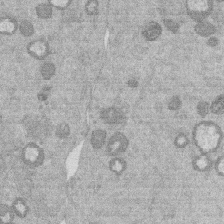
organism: Mouse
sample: Dividing mouse embryo 1 cell stage